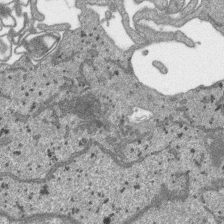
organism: Human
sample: Lung epithelial cells infected with SARS-CoV-2